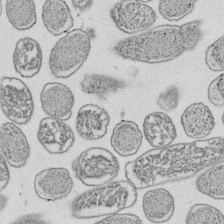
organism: E. coli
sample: Bacterial nucleoid